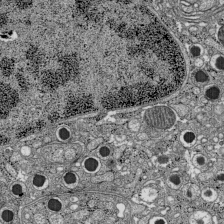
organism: C57BL Mouse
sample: Pancreatic islet